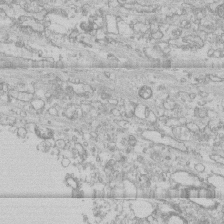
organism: Human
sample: CRL-1474